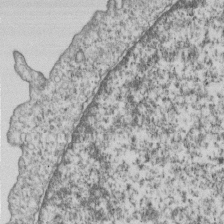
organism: Human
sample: MDA-MB-231 cells